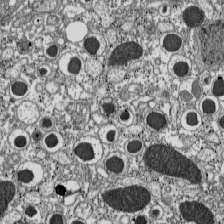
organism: C57BL Mouse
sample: Pancreatic islet